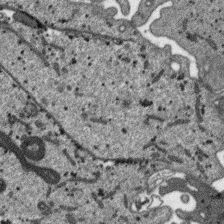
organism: Human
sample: Lung epithelial cells infected with SARS-CoV-2